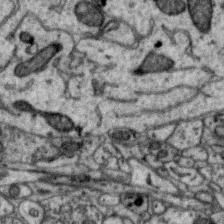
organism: Zebra finch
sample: Brain